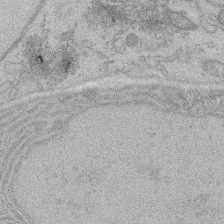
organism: Rat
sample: Salivary granule